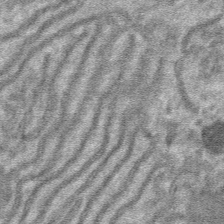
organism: Mouse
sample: Mouse hepatocytes